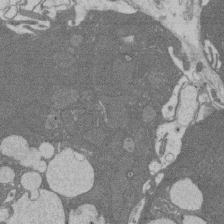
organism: Rat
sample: Salivary granule